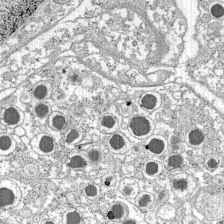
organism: C57BL Mouse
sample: Pancreatic islet